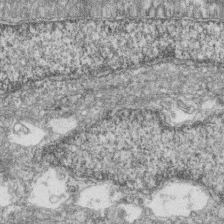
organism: Zebrafish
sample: Cilia; retinal pigment epithelium